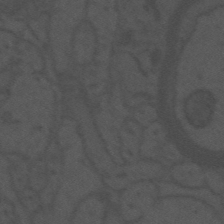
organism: Mouse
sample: Suprachiasmatic nucleus